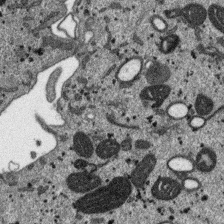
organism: Human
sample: Lung epithelial cells infected with SARS-CoV-2